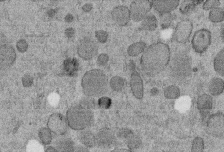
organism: C. elegans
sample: C. elegans embryo early stage